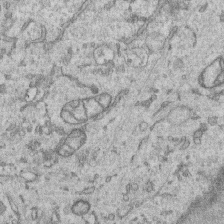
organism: Human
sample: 1205lu cells